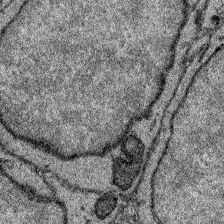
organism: Zebrafish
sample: Larval olfactory bulb